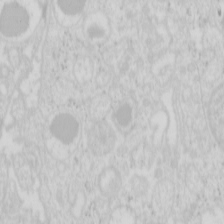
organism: Mouse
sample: Pancreas